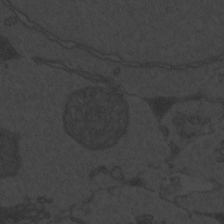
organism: Zebrafish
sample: Macrophage infected with Toxoplasma gondii